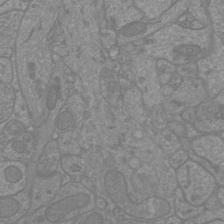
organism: Mouse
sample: Cortical neurons